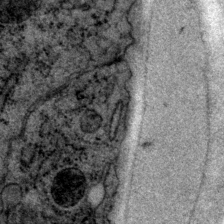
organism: P. pacificus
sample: Pharynx